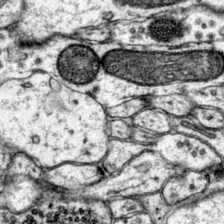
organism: Mouse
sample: Primary visual cortex